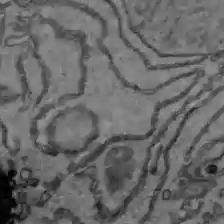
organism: C57BL Mouse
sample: Liver